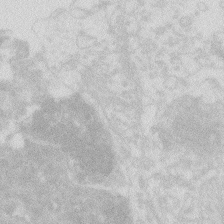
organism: Zebrafish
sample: Macrophage